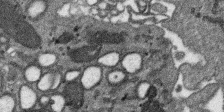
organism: Human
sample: Lung epithelial cells infected with SARS-CoV-2